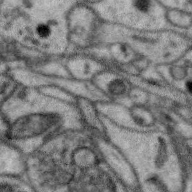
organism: Zebra finch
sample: Brain